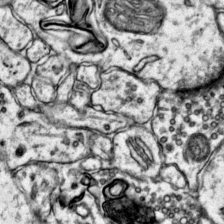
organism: Mouse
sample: Primary visual cortex